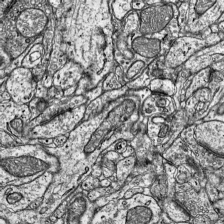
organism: Mouse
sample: Visual Cortex